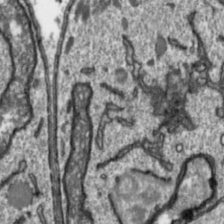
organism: Toxoplasma gondii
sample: Parasites in a vacuole inside a host cell